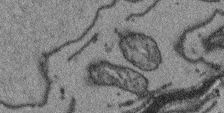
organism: Arabidopsis thaliana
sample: Root tip